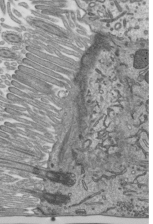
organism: Mouse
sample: Mouse epididymis efferent ductule cilia